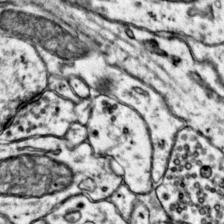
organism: Mouse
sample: Primary visual cortex